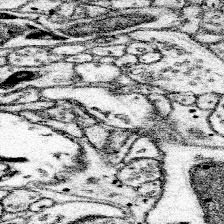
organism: Mouse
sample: Somatosensory cortex neuropil